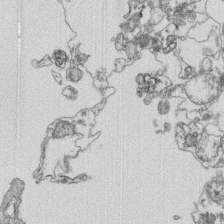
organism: Human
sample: HeLa cell HIV synapse